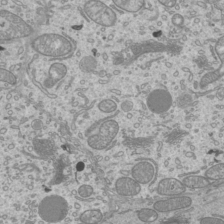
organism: Mouse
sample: Cilia; mouse epididymis